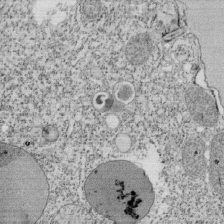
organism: Tetrahymena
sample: Cilia in tetrahymena